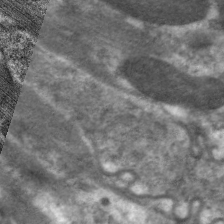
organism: C. elegans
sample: Pharynx